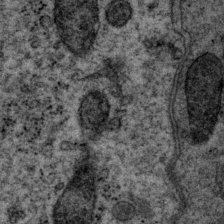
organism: P. pacificus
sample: Pharynx